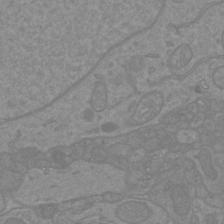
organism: Mouse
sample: Cortical neurons